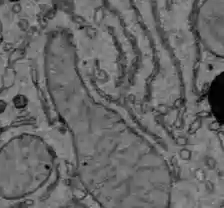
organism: C57BL Mouse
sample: Liver